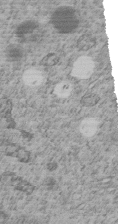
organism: C. elegans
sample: C. elegans embryo early stage